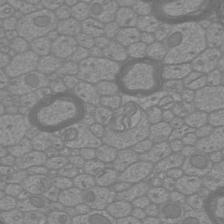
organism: Mouse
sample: Cortical neurons